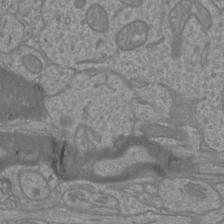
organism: Mouse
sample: Cortical neurons